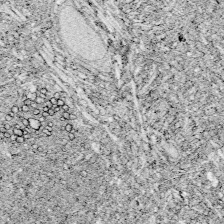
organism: Zebrafish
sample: Whole-Brain